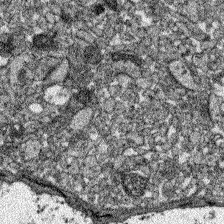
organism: Zebrafish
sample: Larval olfactory bulb